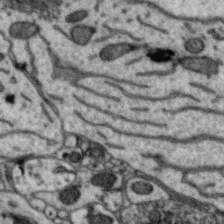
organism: Zebra finch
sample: Brain